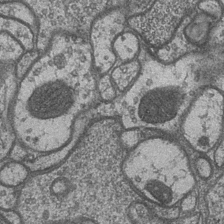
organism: Drosophila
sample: Optic medulla